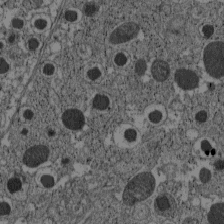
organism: C57BL Mouse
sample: Pancreatic islet